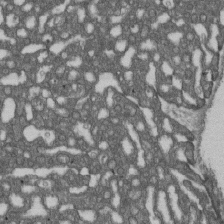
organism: Drosophila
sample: Nephrocyte